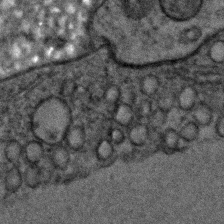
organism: C. elegans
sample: C. elegans embryo